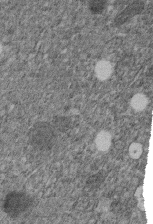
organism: C. elegans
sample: C. elegans embryo early stage